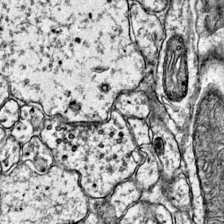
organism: Mouse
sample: Primary visual cortex